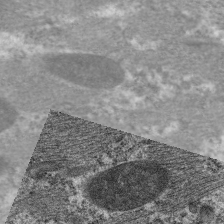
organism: C. elegans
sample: Pharynx